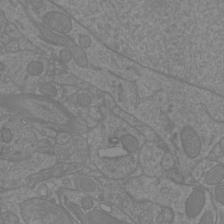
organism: Mouse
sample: Cortical neurons